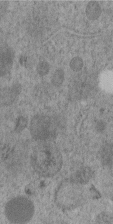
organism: C. elegans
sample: C. elegans embryo early stage